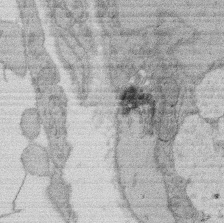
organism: Rat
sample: Salivary granule